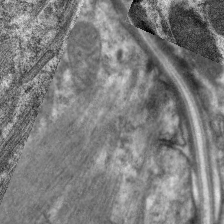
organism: C. elegans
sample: Pharynx